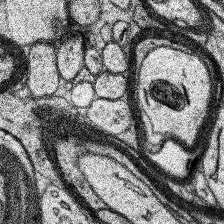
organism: Human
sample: Temporal Lobe